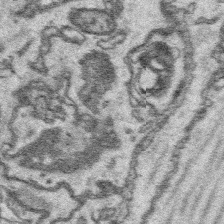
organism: Platynereis dumerilii